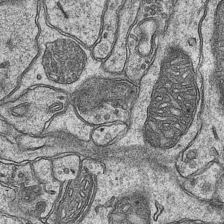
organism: Mouse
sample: CA1 Hippocampus